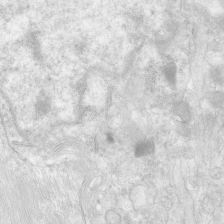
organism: Human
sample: Neocortex